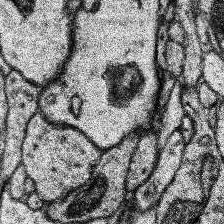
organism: Human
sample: Temporal Lobe